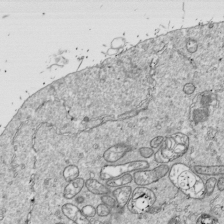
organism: Drosophila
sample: Cell division; meiosis; drosophila spermatocytes